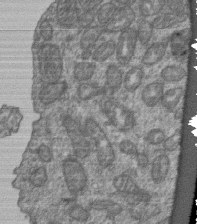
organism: Human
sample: Retinal organoid Rod and Cone cells